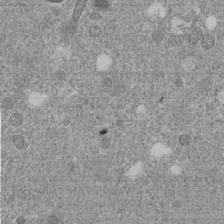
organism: C. elegans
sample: C. elegans embryo early stage